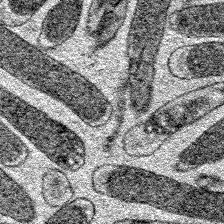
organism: E. coli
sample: E. Coli Bacteria